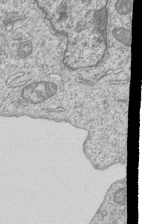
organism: Human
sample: MDA-MB-231 cells